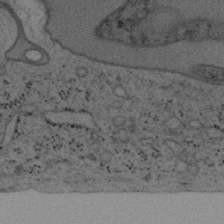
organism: Human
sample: HeLa cells